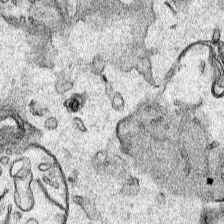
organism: Human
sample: Mitochondria in HCT116 cells